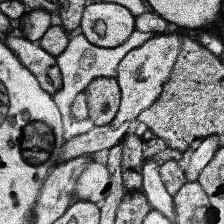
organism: Human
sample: Temporal Lobe